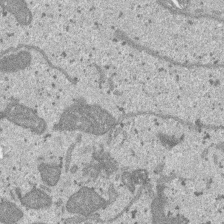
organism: Human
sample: Lung epithelial cells infected with SARS-CoV-2